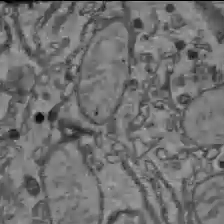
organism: C57BL Mouse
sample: Liver